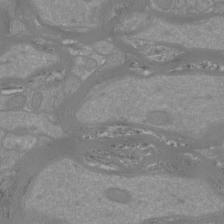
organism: Mouse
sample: Cortical neurons